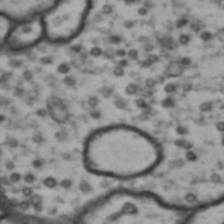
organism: Drosophila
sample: Brain